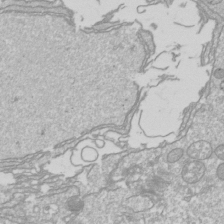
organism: Drosophila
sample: Cell division; meiosis; drosophila spermatocytes